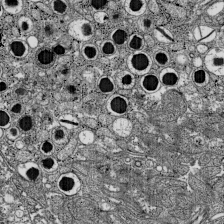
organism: C57BL Mouse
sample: Pancreatic islet